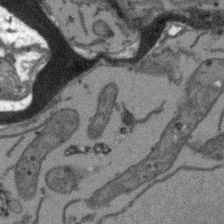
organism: Arabidopsis thaliana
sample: Root tip